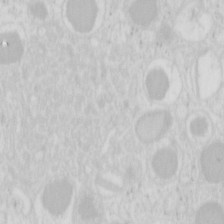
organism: Mouse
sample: Pancreas